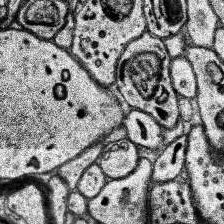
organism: Human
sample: Temporal Lobe